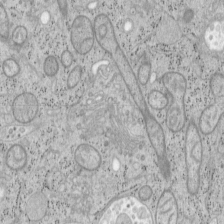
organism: Mouse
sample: OT-I killer T cells with ID8 ovarian cancer cells